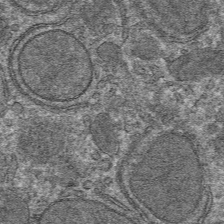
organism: Mouse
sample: Mouse hepatocytes